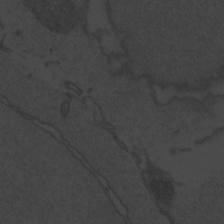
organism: Zebrafish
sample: Macrophage infected with Toxoplasma gondii